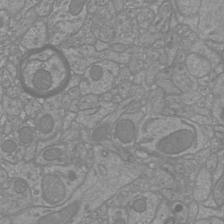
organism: Mouse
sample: Cortical neurons